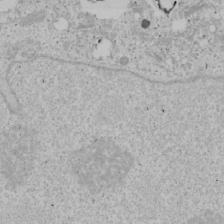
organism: Human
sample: Mitochondria in U2OS cells